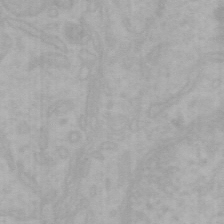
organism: Mouse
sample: Choroid plexus